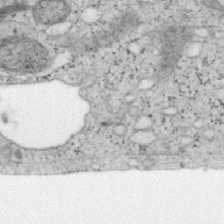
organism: Mouse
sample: OT-I killer T cells with ID8 ovarian cancer cells